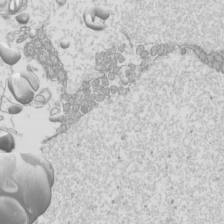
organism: Mouse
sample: Cilia; mouse epididymis